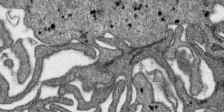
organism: Human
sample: Lung epithelial cells, uninfected (mock) control